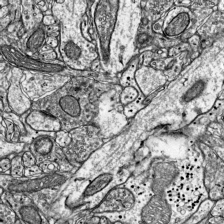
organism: Mouse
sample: Visual Cortex